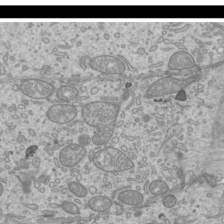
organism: Mouse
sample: Cilia; mouse epididymis